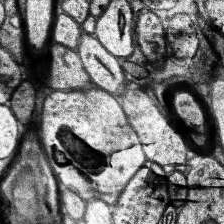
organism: Human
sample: Temporal Lobe